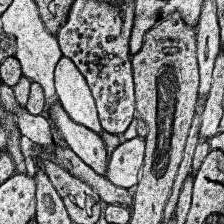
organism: Human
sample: Temporal Lobe